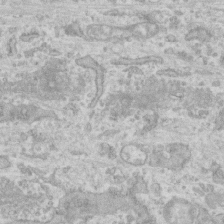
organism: Human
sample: CRL-1474